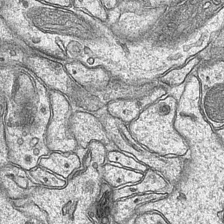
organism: Mouse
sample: CA1 Hippocampus